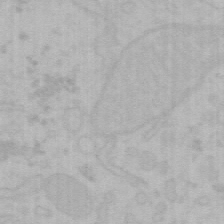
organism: Mouse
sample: Choroid plexus